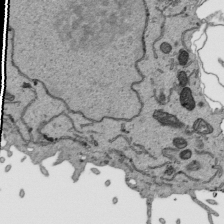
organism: Human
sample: Mitochondria in HCT116 cells